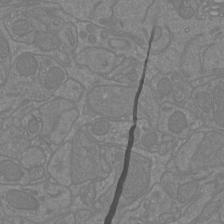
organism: Mouse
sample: Cortical neurons